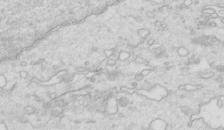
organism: Mouse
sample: Multiciliated cells